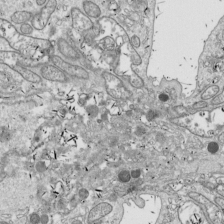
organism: Drosophila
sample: Cell division; meiosis; drosophila spermatocytes